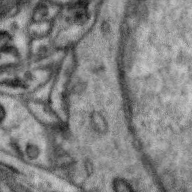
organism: Zebra finch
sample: Brain